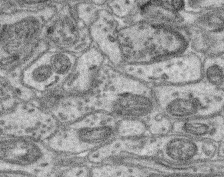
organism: Mouse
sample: Retina